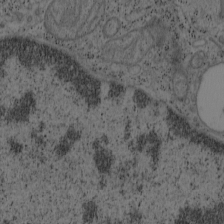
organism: Mouse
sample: OT-I killer T cells with ID8 ovarian cancer cells